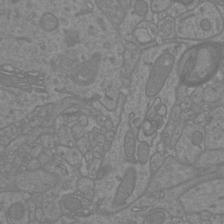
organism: Mouse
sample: Cortical neurons